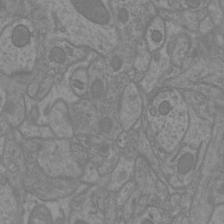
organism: Mouse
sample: Cortical neurons